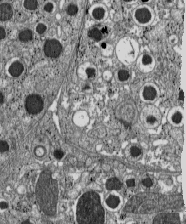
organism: C57BL Mouse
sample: Pancreatic islet